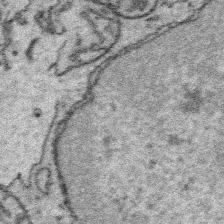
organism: Platynereis dumerilii